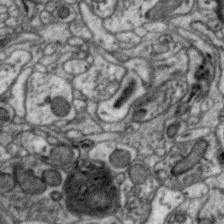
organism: Zebra finch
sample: Brain